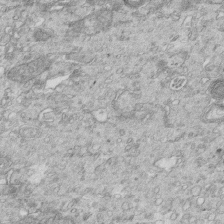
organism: Mouse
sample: Multiciliated cells